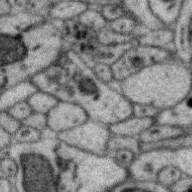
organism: Zebra finch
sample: Brain